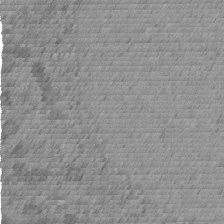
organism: C. elegans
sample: C. elegans embryo early stage